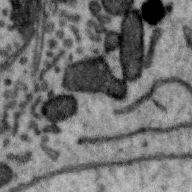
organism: Zebra finch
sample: Brain